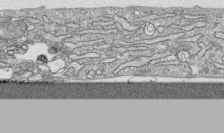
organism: Human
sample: CRL-1474